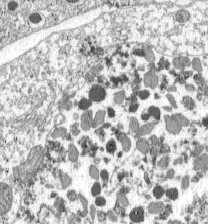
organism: C57BL Mouse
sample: Pancreatic islet